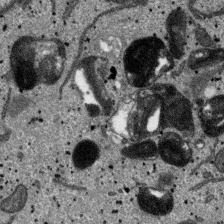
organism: Human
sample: Lung epithelial cells, uninfected (mock) control